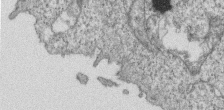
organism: Human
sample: HeLa cell HIV synapse